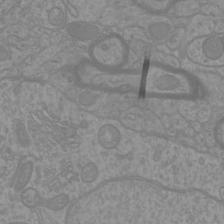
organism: Mouse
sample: Cortical neurons